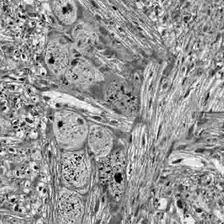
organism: Drosophila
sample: Optic lobe